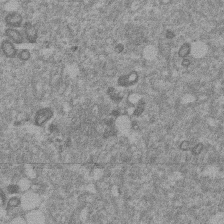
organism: Mouse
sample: Dividing mouse embryo 1 cell stage